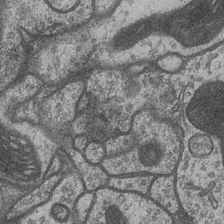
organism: Drosophila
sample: Optic medulla